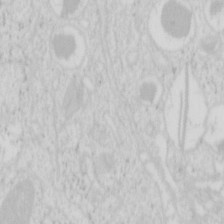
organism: Mouse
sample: Pancreas